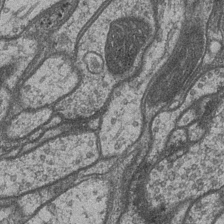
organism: Drosophila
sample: Optic medulla